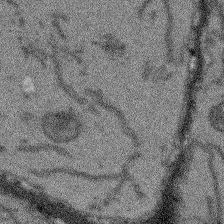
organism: Arabidopsis thaliana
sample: Root tip